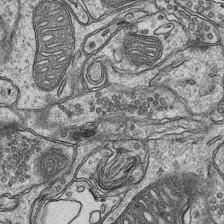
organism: Mouse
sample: CA1 Hippocampus